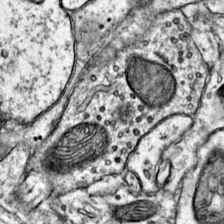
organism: Mouse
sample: Primary visual cortex